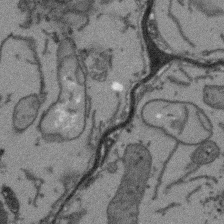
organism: Arabidopsis thaliana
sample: Root tip